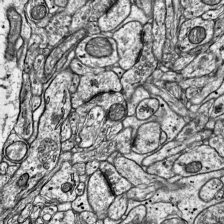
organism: Mouse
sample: Visual Cortex